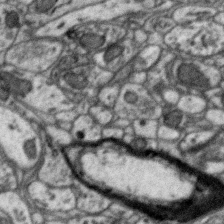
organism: Zebra finch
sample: Brain